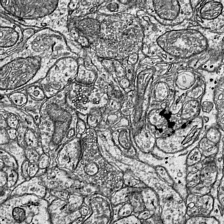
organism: Mouse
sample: Visual Cortex